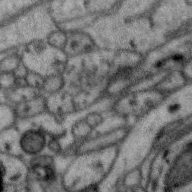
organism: Zebra finch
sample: Brain